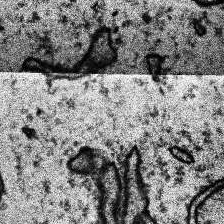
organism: Human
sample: Temporal Lobe